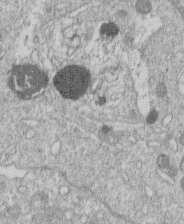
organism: Human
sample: Macrophage cells